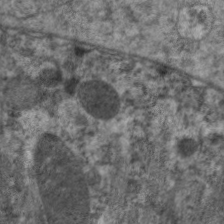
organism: C. elegans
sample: Pharynx